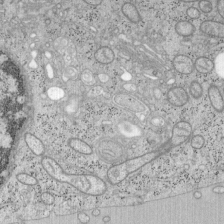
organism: Mouse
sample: OT-I killer T cells with ID8 ovarian cancer cells